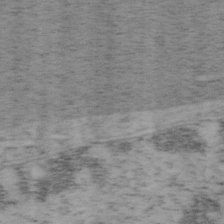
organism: Mouse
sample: OT-I killer T cells with ID8 ovarian cancer cells